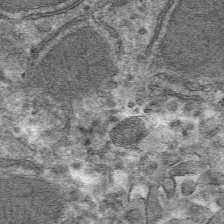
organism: Mouse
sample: Mouse hepatocytes